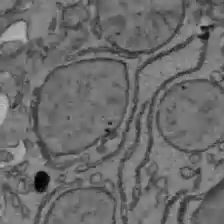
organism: C57BL Mouse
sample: Liver